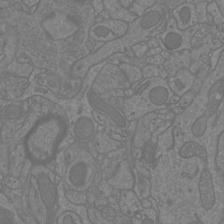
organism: Mouse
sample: Cortical neurons